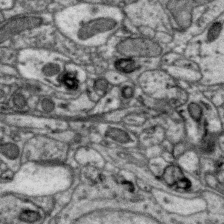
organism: Zebra finch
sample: Brain